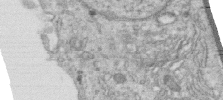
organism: Human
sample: Centriole in RPE cells